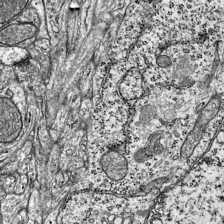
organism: Mouse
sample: Visual Cortex